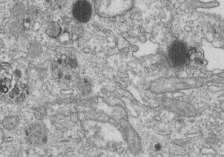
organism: Human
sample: HeLa cell HIV synapse